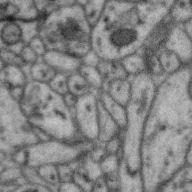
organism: Zebra finch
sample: Brain